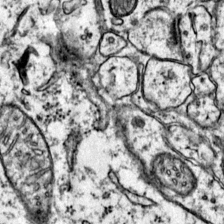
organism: Mouse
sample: Primary visual cortex